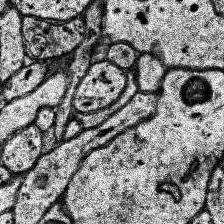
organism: Human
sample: Temporal Lobe